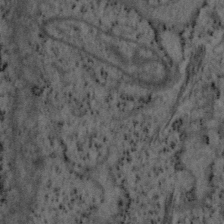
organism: Human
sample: HeLa cells